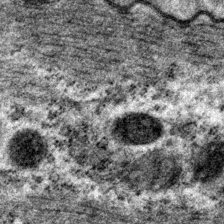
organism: P. pacificus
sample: Pharynx